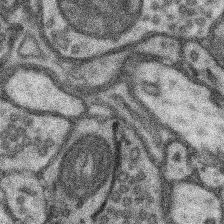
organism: Mouse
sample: Somatosensory cortex neuropil